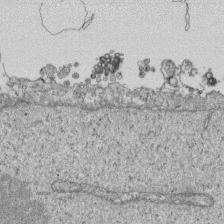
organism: Human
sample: HeLa cell HIV synapse